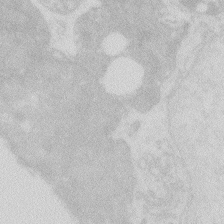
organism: Zebrafish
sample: Macrophage